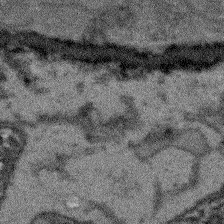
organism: Arabidopsis thaliana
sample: Root tip